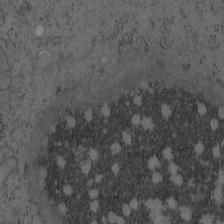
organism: Mouse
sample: OT-I killer T cells with ID8 ovarian cancer cells